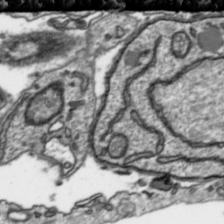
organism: Toxoplasma gondii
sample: Parasites in a vacuole inside a host cell